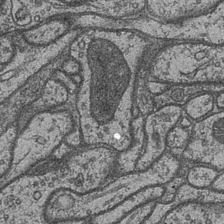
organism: Drosophila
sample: Optic medulla